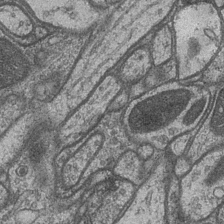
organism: Drosophila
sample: Optic medulla